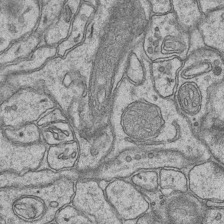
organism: Mouse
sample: CA1 Hippocampus